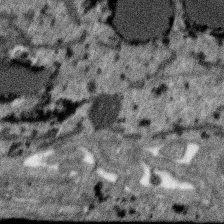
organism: Human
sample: Lung epithelial cells infected with SARS-CoV-2